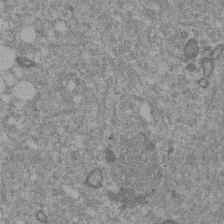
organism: Mouse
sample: Dividing mouse embryo 1 cell stage